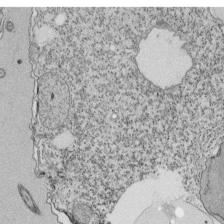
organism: Tetrahymena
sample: Cilia in tetrahymena